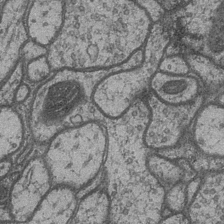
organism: Drosophila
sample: Optic medulla